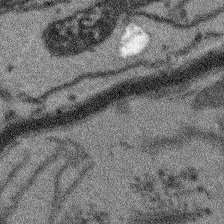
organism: Arabidopsis thaliana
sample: Root tip